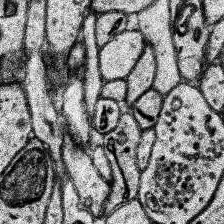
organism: Human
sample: Temporal Lobe